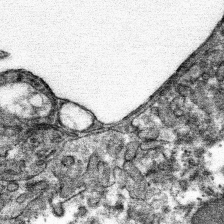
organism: Mouse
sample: Mouse hepatocytes